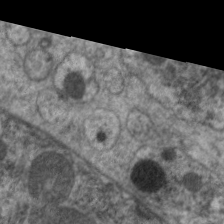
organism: C. elegans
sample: Pharynx